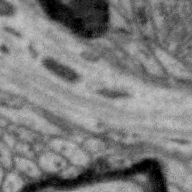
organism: Zebra finch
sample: Brain